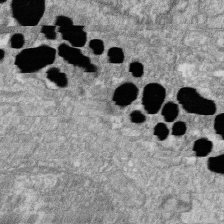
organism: Zebrafish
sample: Cilia; retinal pigment epithelium